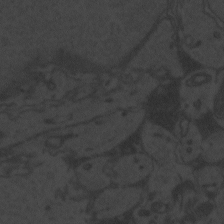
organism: Zebrafish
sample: Macrophage infected with Toxoplasma gondii